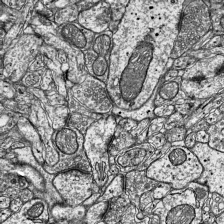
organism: Mouse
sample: Visual Cortex